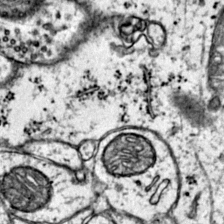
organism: Mouse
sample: Primary visual cortex